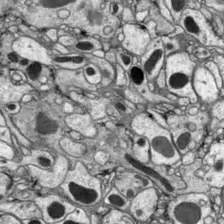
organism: Drosophila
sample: Optic lobe